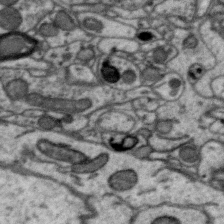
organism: Zebra finch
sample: Brain